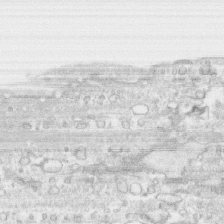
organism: Human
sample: CRL-1474